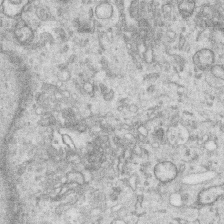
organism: Human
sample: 1205lu cells